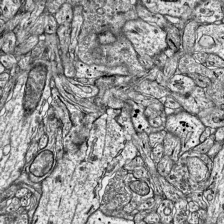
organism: Mouse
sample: Visual Cortex